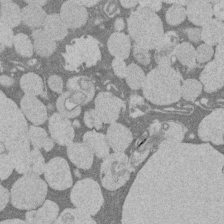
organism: Rat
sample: Salivary granule